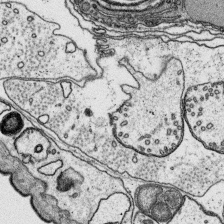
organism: Platynereis dumerilii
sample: Parapodia